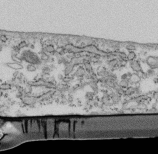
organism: Mouse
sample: Cilia; retinal pigment epithelium